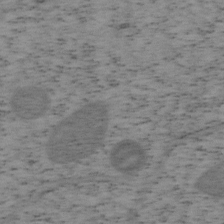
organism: Mouse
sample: OT-I killer T cells with ID8 ovarian cancer cells